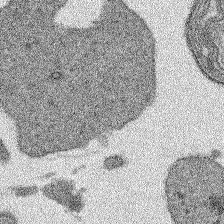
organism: Human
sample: HeLa cells